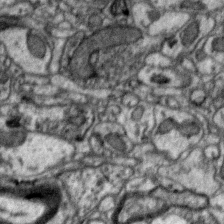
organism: Zebra finch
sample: Brain